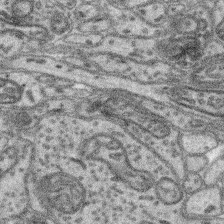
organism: Mouse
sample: Retina